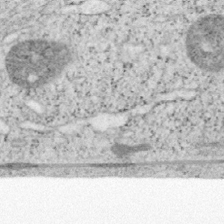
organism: Mouse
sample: OT-I killer T cells with ID8 ovarian cancer cells